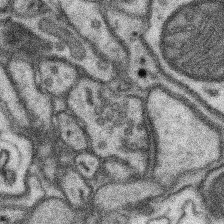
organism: Mouse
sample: Somatosensory cortex neuropil